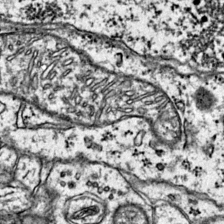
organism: Mouse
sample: Primary visual cortex